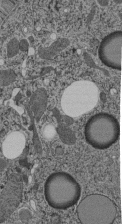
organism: C. elegans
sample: C. elegans pharynx